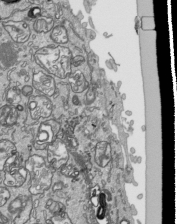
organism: Human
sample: Mitochondria in HCT116 cells